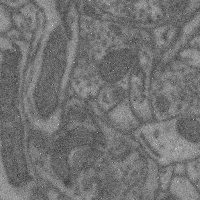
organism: Mouse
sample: Cerebral cortex